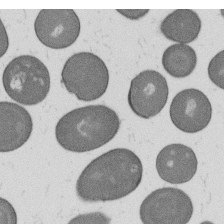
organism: B. subtilis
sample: Bacterial spore